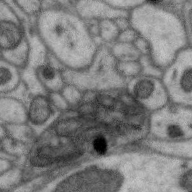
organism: Zebra finch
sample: Brain